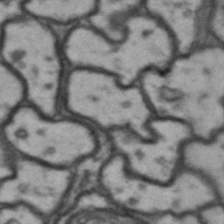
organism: Drosophila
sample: Brain